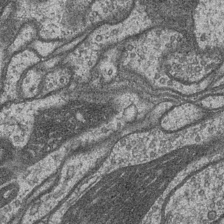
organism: Drosophila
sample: Optic medulla